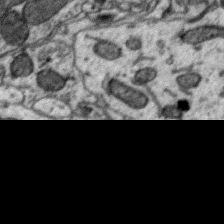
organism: Zebra finch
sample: Brain